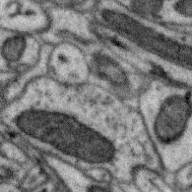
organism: Zebra finch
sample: Brain